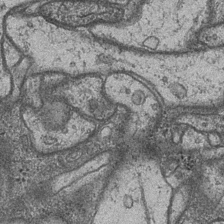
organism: Drosophila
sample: Optic medulla